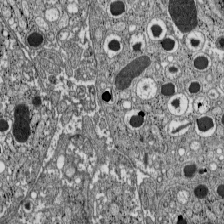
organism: C57BL Mouse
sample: Pancreatic islet